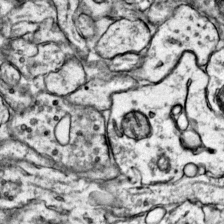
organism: Mouse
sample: Primary visual cortex